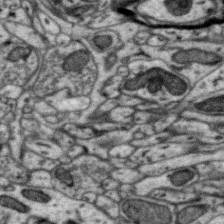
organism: Zebra finch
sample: Brain